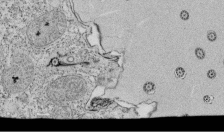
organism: Tetrahymena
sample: Cilia in tetrahymena